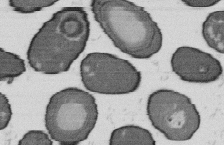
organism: B. subtilis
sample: Bacterial spore